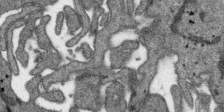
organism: Human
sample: Lung epithelial cells, uninfected (mock) control